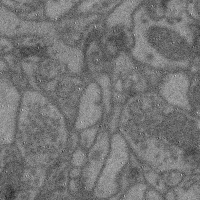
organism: Mouse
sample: Cerebral cortex